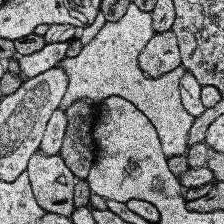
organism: Human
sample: Temporal Lobe